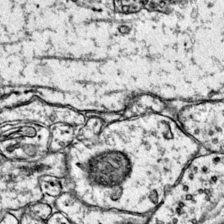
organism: Mouse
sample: Primary visual cortex